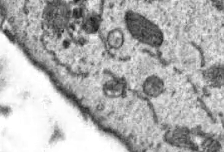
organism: Human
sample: HeLa cells